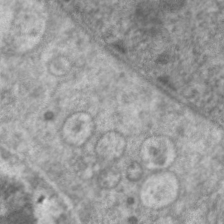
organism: C. elegans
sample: Pharynx